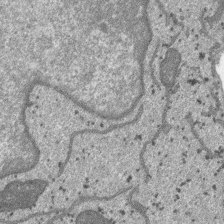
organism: Human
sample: Lung epithelial cells infected with SARS-CoV-2